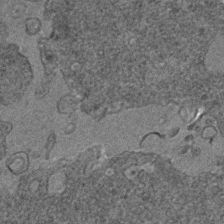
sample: Trachea